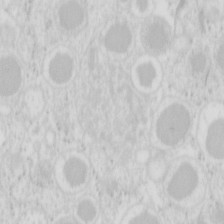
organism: Mouse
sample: Pancreas